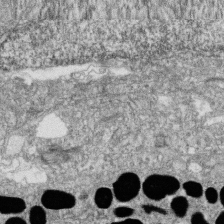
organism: Zebrafish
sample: Cilia; retinal pigment epithelium